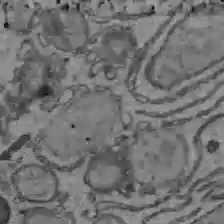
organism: C57BL Mouse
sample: Liver